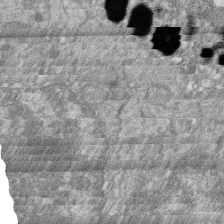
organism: Zebrafish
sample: Cilia; retinal pigment epithelium